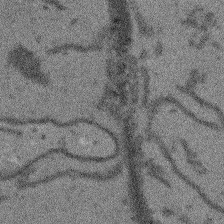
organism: Arabidopsis thaliana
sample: Root tip